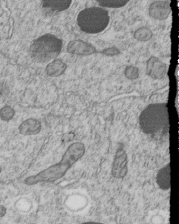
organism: C. elegans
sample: C. elegans embryo early stage